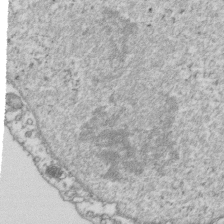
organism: Human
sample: Activated Jurkat CD4+ T cells